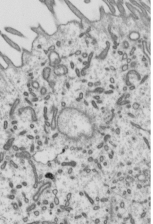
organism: Mouse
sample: Mouse epididymis efferent ductule cilia